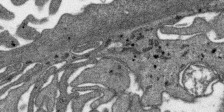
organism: Human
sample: Lung epithelial cells, uninfected (mock) control